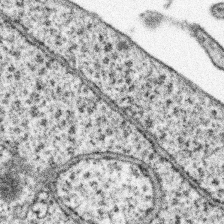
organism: Human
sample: HeLa cells